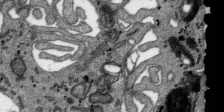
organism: Human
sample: Lung epithelial cells, uninfected (mock) control